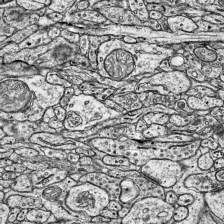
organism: Mouse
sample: Visual Cortex